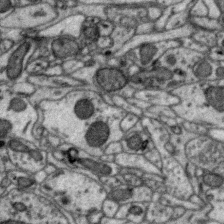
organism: Zebra finch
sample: Brain